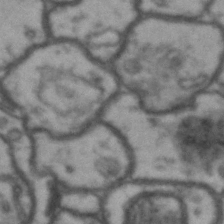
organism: Drosophila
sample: Brain